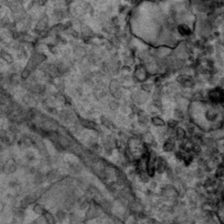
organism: Human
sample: Mitochondria in HCT116 cells